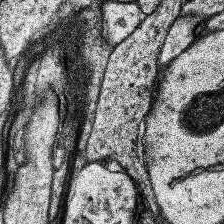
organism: Human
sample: Temporal Lobe